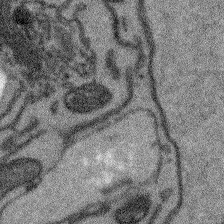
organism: Arabidopsis thaliana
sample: Root tip